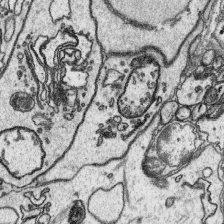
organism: Platynereis dumerilii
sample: Parapodia